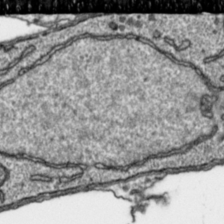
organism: Toxoplasma gondii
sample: Parasites in a vacuole inside a host cell